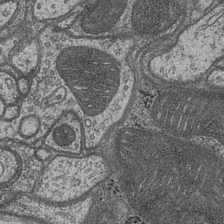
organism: Drosophila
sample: Optic medulla